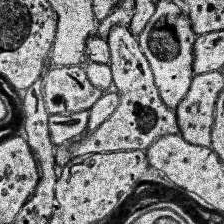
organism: Human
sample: Temporal Lobe